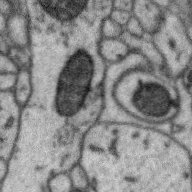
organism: Zebra finch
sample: Brain